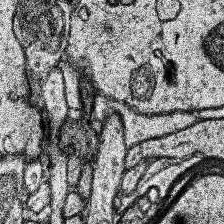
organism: Human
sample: Temporal Lobe